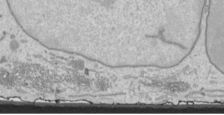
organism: Human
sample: Mitochondria in HCT116 cells